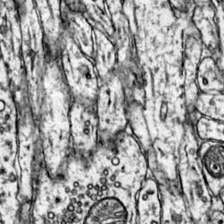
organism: Mouse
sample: Primary visual cortex